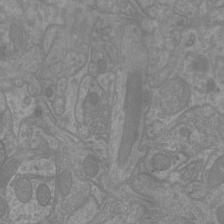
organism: Mouse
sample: Cortical neurons